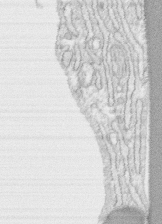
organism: Human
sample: CRL-1474